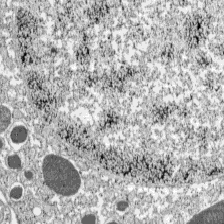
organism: C57BL Mouse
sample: Pancreatic islet